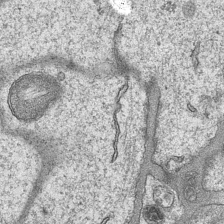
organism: Mouse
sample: CA1 Hippocampus